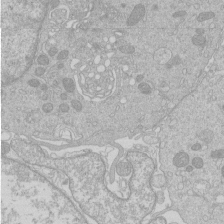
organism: Human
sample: Macrophage cells